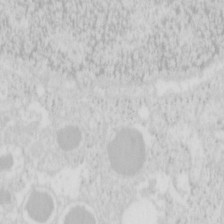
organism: Mouse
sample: Pancreas